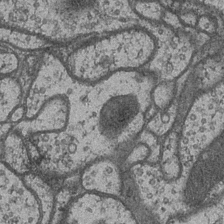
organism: Drosophila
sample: Optic medulla